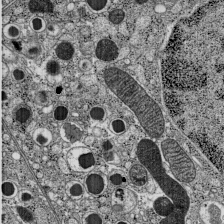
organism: C57BL Mouse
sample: Pancreatic islet